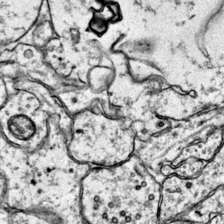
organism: Mouse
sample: Primary visual cortex